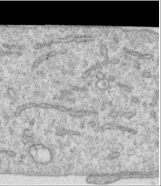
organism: Human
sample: Centriole in RPE cells